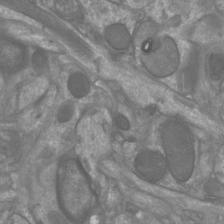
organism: Mouse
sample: Cortical neurons